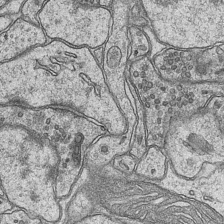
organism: Mouse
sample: CA1 Hippocampus